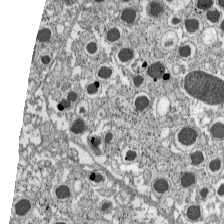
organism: C57BL Mouse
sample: Pancreatic islet